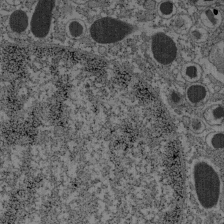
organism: C57BL Mouse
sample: Pancreatic islet